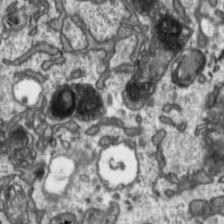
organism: Toxoplasma gondii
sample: Parasites in a vacuole inside a host cell